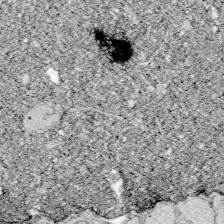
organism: Zebrafish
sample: Whole-Brain